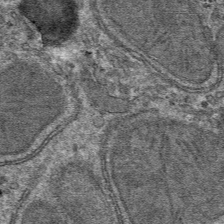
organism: Mouse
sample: Mouse hepatocytes